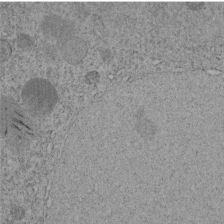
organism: C. elegans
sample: C. elegans embryo early stage